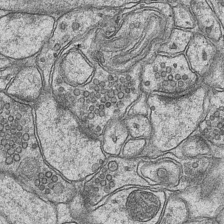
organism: Mouse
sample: CA1 Hippocampus